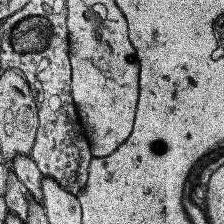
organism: Human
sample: Temporal Lobe